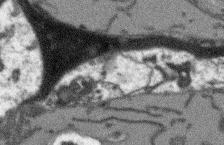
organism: Arabidopsis thaliana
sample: Root tip